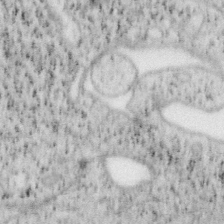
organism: Mouse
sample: OT-I killer T cells with ID8 ovarian cancer cells